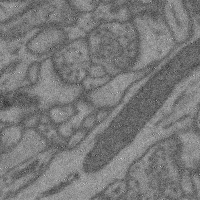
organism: Mouse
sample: Cerebral cortex